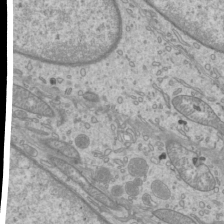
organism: Mouse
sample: Cilia; mouse epididymis